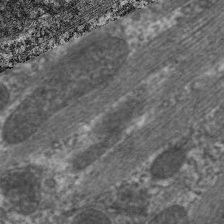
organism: C. elegans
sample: Pharynx